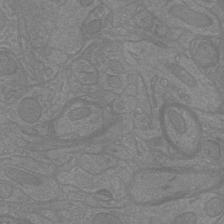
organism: Mouse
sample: Cortical neurons